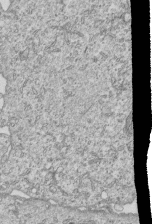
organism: Human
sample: MDA-MB-231 cells